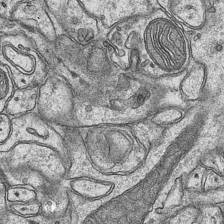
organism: Mouse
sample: CA1 Hippocampus